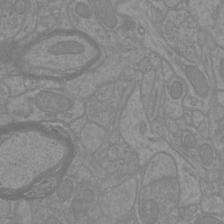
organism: Mouse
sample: Cortical neurons